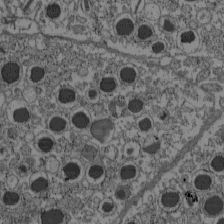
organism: C57BL Mouse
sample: Pancreatic islet